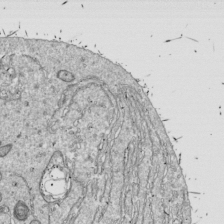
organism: Drosophila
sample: Cell division; meiosis; drosophila spermatocytes